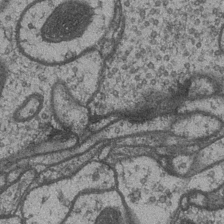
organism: Drosophila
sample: Optic medulla